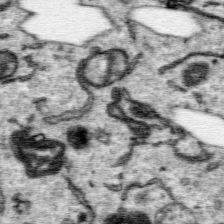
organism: Human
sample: HeLa cells